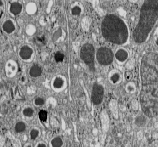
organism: C57BL Mouse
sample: Pancreatic islet